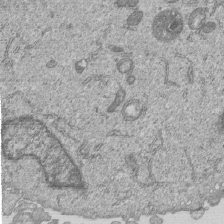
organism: Human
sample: MDA-MB-231 cells